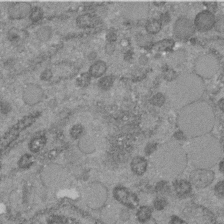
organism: C. elegans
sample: C. elegans embryo early stage